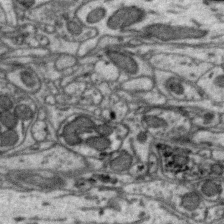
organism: Zebra finch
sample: Brain